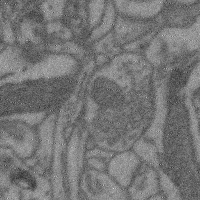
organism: Mouse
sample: Cerebral cortex